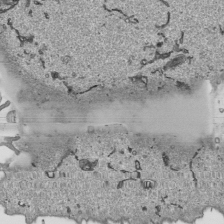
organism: Human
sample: Mitochondria in HCT116 cells